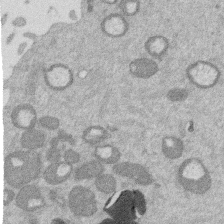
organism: Mouse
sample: Dividing mouse embryo 1 cell stage